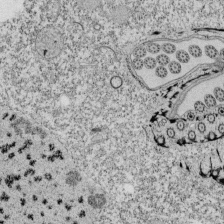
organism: Tetrahymena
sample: Cilia in tetrahymena